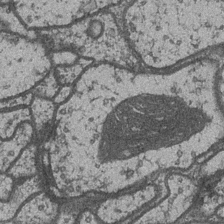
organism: Drosophila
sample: Optic medulla